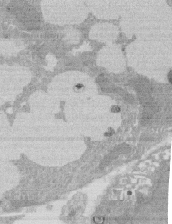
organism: Rat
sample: Salivary granule